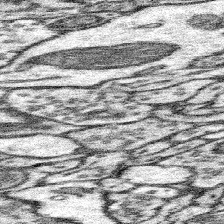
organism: Mouse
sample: Somatosensory cortex neuropil